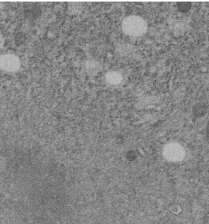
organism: C. elegans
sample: C. elegans embryo early stage